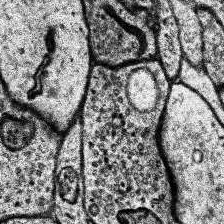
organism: Human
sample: Temporal Lobe